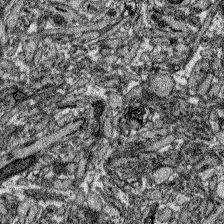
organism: Zebrafish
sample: Larval olfactory bulb